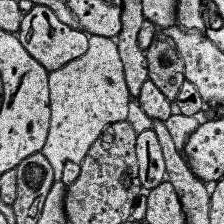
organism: Human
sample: Temporal Lobe